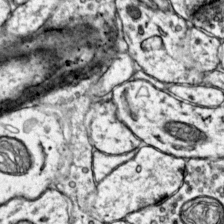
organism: Mouse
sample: Primary visual cortex